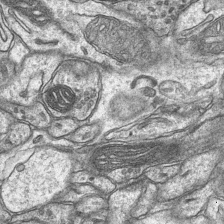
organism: Mouse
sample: CA1 Hippocampus